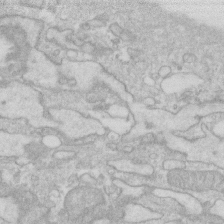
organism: Human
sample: Fibroblast cells